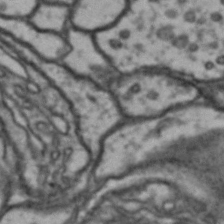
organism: Drosophila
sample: Brain